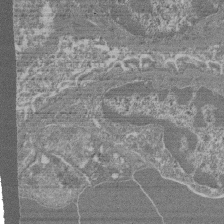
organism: Mouse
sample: Glomerulus